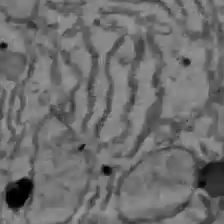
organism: C57BL Mouse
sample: Liver